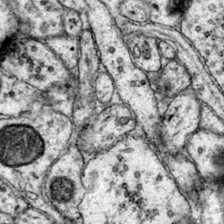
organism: Mouse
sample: Primary visual cortex